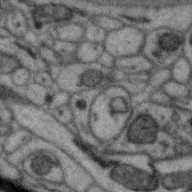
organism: Zebra finch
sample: Brain